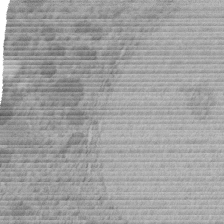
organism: C. elegans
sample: C. elegans embryo early stage